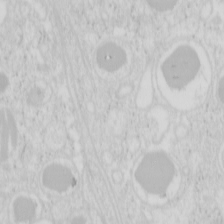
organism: Mouse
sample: Pancreas